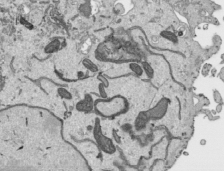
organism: Human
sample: Mitochondria in HCT116 cells